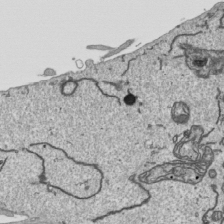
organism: Human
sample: Mitochondria in HCT116 cells